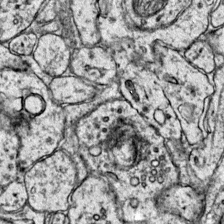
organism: Mouse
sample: Primary visual cortex